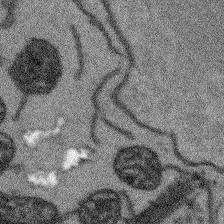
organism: Arabidopsis thaliana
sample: Root tip